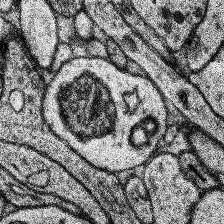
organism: Human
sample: Temporal Lobe